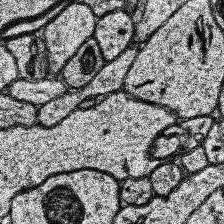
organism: Human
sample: Temporal Lobe